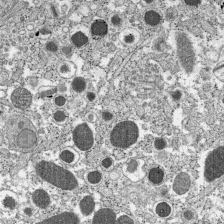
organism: C57BL Mouse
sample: Pancreatic islet